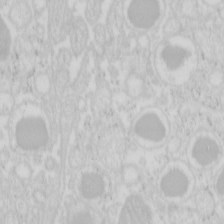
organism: Mouse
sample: Pancreas